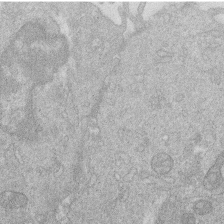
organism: Human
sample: Macrophage cells